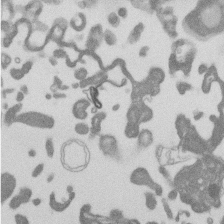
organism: Mouse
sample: Dividing mouse embryo 1 cell stage